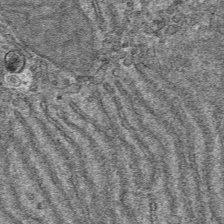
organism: Mouse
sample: Mouse hepatocytes